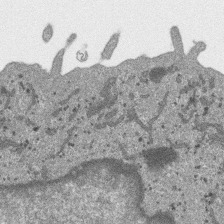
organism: Human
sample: Lung epithelial cells infected with SARS-CoV-2